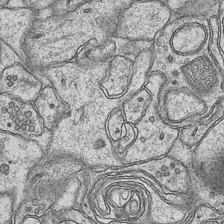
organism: Mouse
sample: CA1 Hippocampus